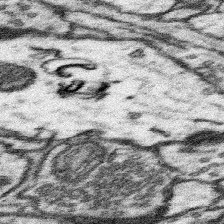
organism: Mouse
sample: Somatosensory cortex neuropil